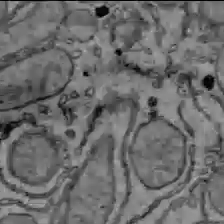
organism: C57BL Mouse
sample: Liver